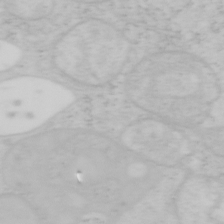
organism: Mouse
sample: OT-I killer T cells with ID8 ovarian cancer cells